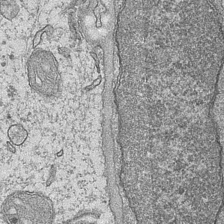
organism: Mouse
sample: CA1 Hippocampus